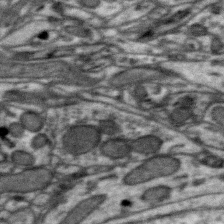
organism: Zebra finch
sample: Brain